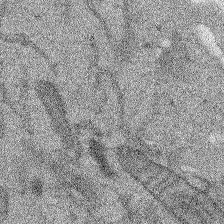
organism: Human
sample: HeLa cells